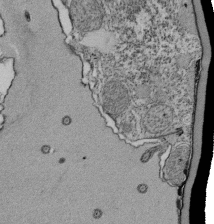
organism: Tetrahymena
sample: Cilia in tetrahymena